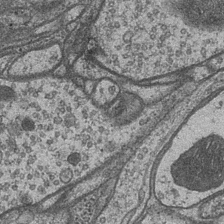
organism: Drosophila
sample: Optic medulla